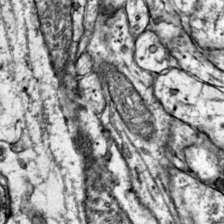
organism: Mouse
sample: Primary visual cortex